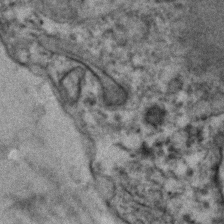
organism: Human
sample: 1205lu cells